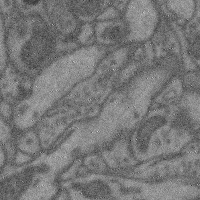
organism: Mouse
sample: Cerebral cortex